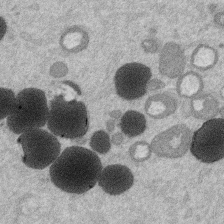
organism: Mouse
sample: Dividing mouse embryo 1 cell stage